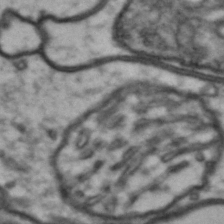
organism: Drosophila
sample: Brain